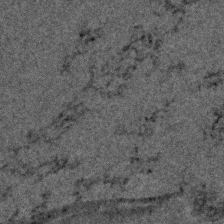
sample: Trachea